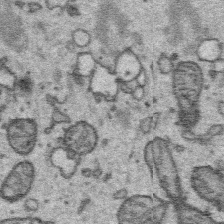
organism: Platynereis dumerilii